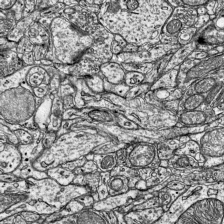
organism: Mouse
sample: Visual Cortex